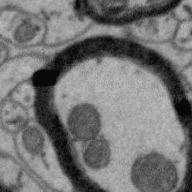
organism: Zebra finch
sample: Brain